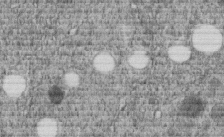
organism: C. elegans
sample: C. elegans embryo early stage